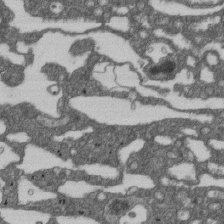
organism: Drosophila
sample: Nephrocyte